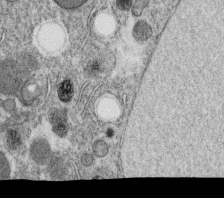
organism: C. elegans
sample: C. elegans oocyte; sperm cells